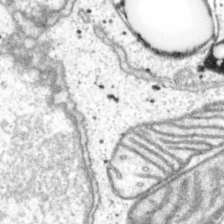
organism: Human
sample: HeLa cells